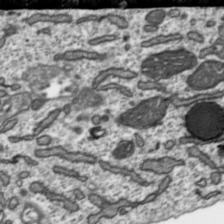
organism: Toxoplasma gondii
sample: Parasites in a vacuole inside a host cell